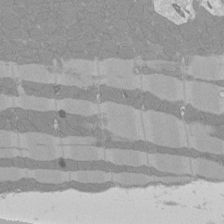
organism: Rat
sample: Left ventricle